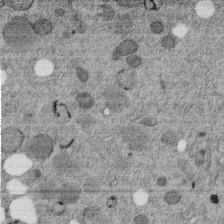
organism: C. elegans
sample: C. elegans embryo early stage